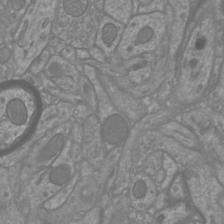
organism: Mouse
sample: Cortical neurons